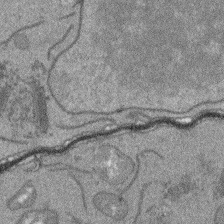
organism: Arabidopsis thaliana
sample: Root tip